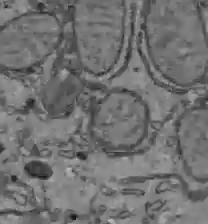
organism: C57BL Mouse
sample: Liver